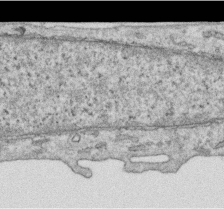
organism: Human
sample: Centriole in RPE cells